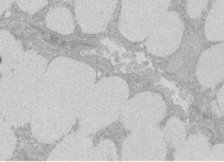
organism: Rat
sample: Salivary granule